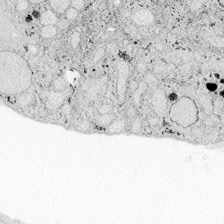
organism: Zebrafish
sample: Whole-Brain